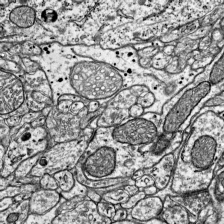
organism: Mouse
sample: Visual Cortex